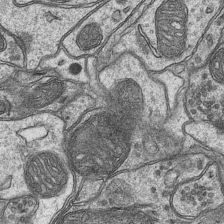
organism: Mouse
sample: CA1 Hippocampus